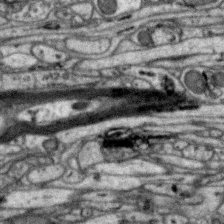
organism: Zebra finch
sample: Brain